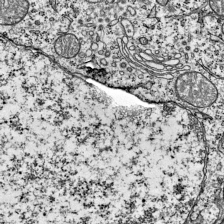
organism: Mouse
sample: Visual Cortex